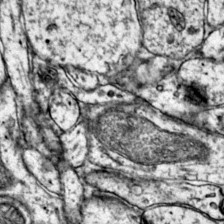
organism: Mouse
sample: Primary visual cortex